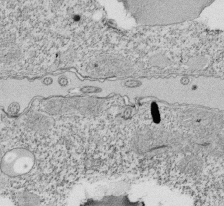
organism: Tetrahymena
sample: Cilia in tetrahymena